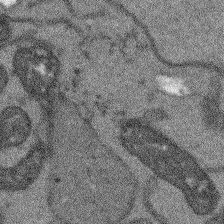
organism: Arabidopsis thaliana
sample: Root tip